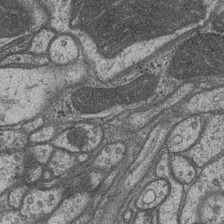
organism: Drosophila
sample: Optic medulla